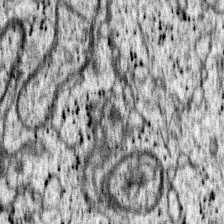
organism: Human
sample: HeLa cells